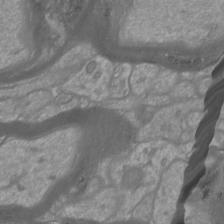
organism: Mouse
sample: Cortical neurons